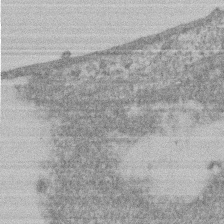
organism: Mouse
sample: T cell stromal cell synapse